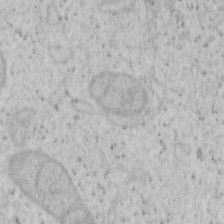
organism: Human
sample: HeLa cells